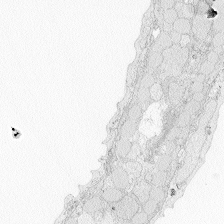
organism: Zebrafish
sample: Whole-Brain